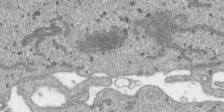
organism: Human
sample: Lung epithelial cells infected with SARS-CoV-2